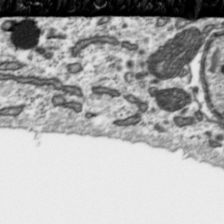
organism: Toxoplasma gondii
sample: Parasites in a vacuole inside a host cell